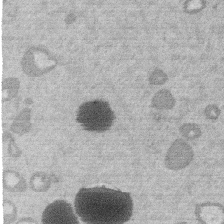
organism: Mouse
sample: Dividing mouse embryo 1 cell stage